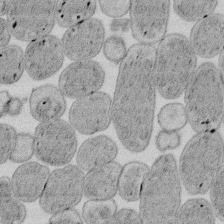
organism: E. coli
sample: Bacterial nucleoid